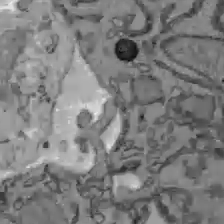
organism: C57BL Mouse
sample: Liver